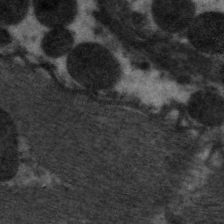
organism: C. elegans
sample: Pharynx